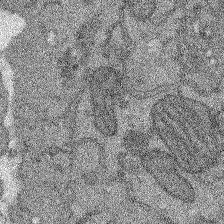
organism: Human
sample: HeLa cells